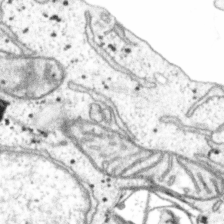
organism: Human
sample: HeLa cells